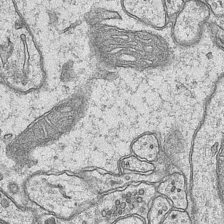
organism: Mouse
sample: CA1 Hippocampus